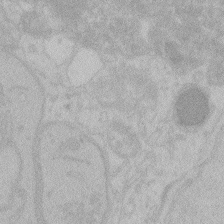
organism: Zebrafish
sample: Macrophage infected with Toxoplasma gondii